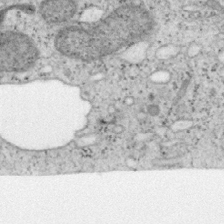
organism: Mouse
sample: OT-I killer T cells with ID8 ovarian cancer cells